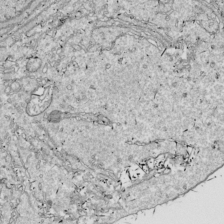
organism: Drosophila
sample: Cell division; meiosis; drosophila spermatocytes